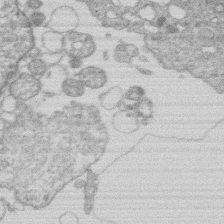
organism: Human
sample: Macrophage cells